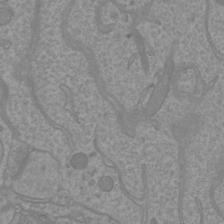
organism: Mouse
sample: Cortical neurons